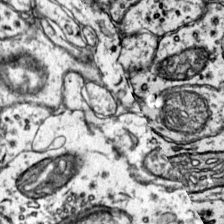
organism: Mouse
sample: Primary visual cortex